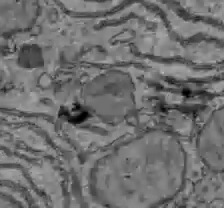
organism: C57BL Mouse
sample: Liver